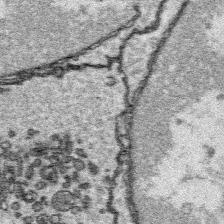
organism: Platynereis dumerilii